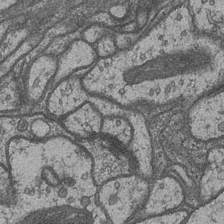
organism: Drosophila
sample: Optic medulla